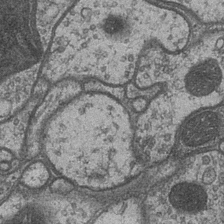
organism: Drosophila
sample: Optic medulla